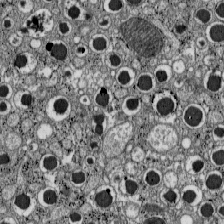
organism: C57BL Mouse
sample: Pancreatic islet